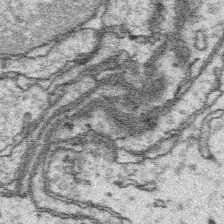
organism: Platynereis dumerilii